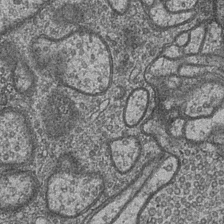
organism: Drosophila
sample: Optic medulla